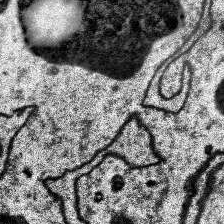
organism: Human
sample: Temporal Lobe